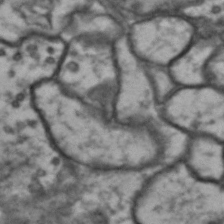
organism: Drosophila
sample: Brain